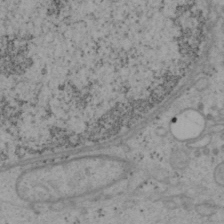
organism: Human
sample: HeLa cells